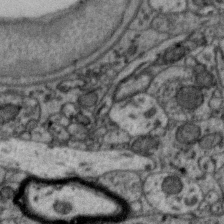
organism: Zebra finch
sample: Brain